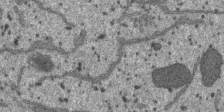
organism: Human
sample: Lung epithelial cells infected with SARS-CoV-2